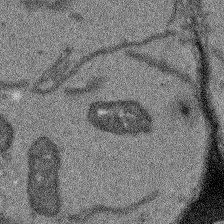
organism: Arabidopsis thaliana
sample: Root tip